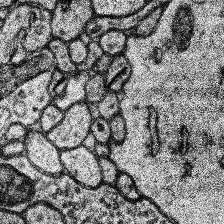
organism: Human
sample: Temporal Lobe